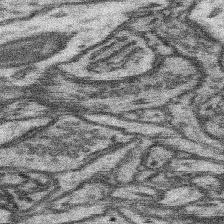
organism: Mouse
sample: Somatosensory cortex neuropil